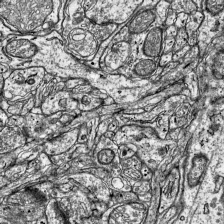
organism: Mouse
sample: Visual Cortex